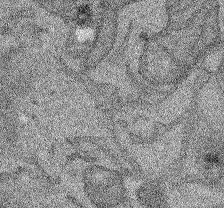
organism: Human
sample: HeLa cells